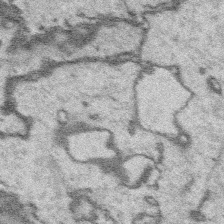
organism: Platynereis dumerilii